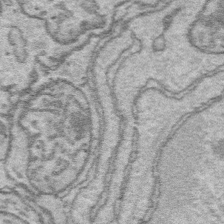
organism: Platynereis dumerilii